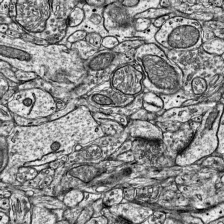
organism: Mouse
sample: Visual Cortex